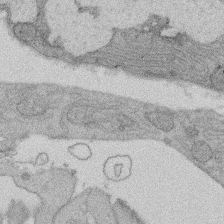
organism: Rat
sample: Salivary granule